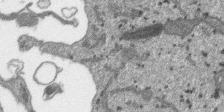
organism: Human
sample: Lung epithelial cells infected with SARS-CoV-2